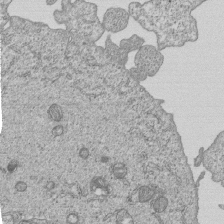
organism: Human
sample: MDA-MB-231 cells